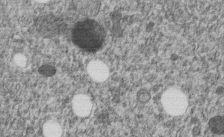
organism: C. elegans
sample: C. elegans embryo early stage